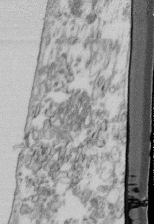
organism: Mouse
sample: Cilia; retinal pigment epithelium